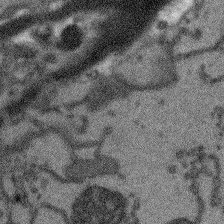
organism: Arabidopsis thaliana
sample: Root tip